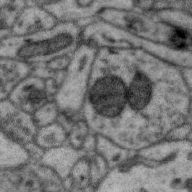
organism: Zebra finch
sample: Brain